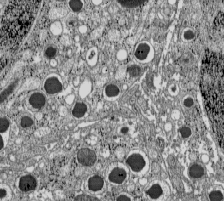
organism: C57BL Mouse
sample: Pancreatic islet